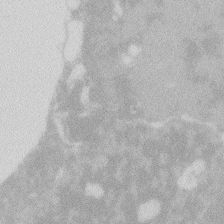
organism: Zebrafish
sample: Macrophage